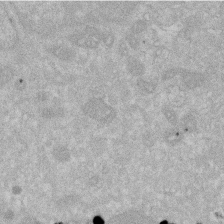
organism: Human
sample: HIV infected U937 cells